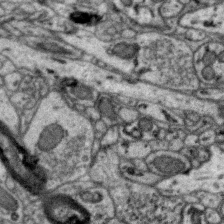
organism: Zebra finch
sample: Brain